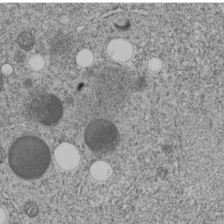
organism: C. elegans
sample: C. elegans embryo early stage